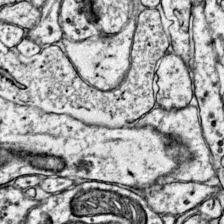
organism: Mouse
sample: Primary visual cortex